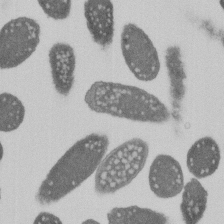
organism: E. coli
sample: Bacterial nucleoid